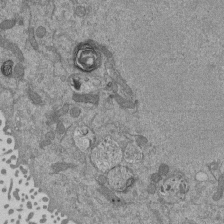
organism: Mouse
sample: ED-1 cell nuclei; centrioles